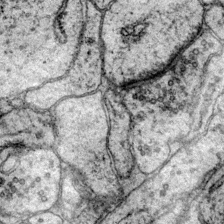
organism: Mouse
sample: Primary visual cortex